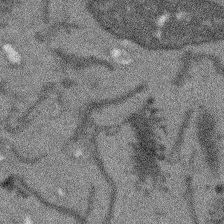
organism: Arabidopsis thaliana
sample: Root tip